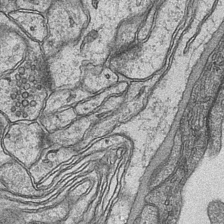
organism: Mouse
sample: CA1 Hippocampus